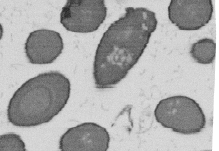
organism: B. subtilis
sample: Bacterial spore